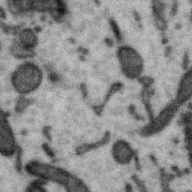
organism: Zebra finch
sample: Brain